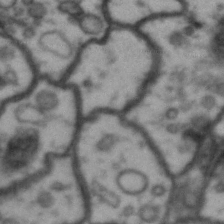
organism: Drosophila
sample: Brain